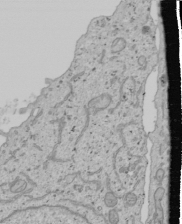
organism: Human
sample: Mitochondria in U2OS cells